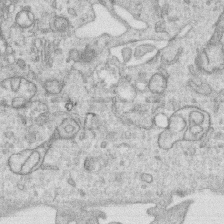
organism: Human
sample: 1205lu cells